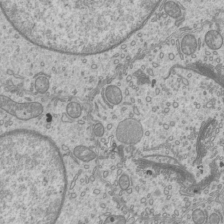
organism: Mouse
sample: Cilia; mouse epididymis